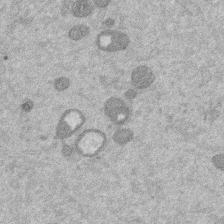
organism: Mouse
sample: Dividing mouse embryo 1 cell stage